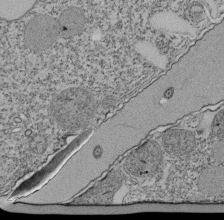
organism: Tetrahymena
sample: Cilia in tetrahymena